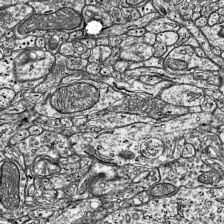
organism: Mouse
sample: Visual Cortex